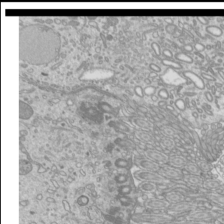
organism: Mouse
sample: Cilia; mouse epididymis